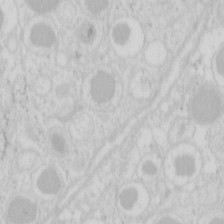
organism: Mouse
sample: Pancreas